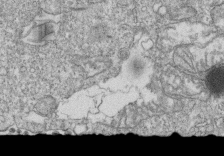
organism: Human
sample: HeLa cell HIV synapse